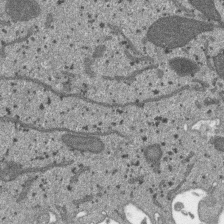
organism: Human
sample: Lung epithelial cells infected with SARS-CoV-2